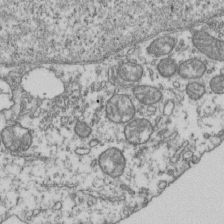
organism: Human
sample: Activated Jurkat CD4+ T cells